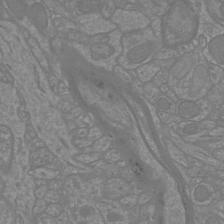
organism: Mouse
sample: Cortical neurons